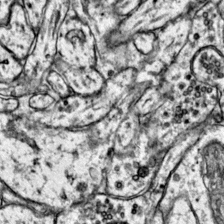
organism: Mouse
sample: Primary visual cortex